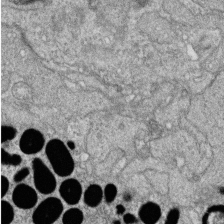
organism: Zebrafish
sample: Cilia; retinal pigment epithelium